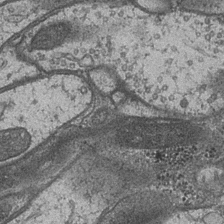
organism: Drosophila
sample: Optic medulla